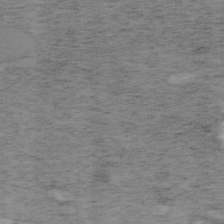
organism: Mouse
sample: OT-I killer T cells with ID8 ovarian cancer cells